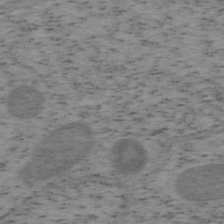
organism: Mouse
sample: OT-I killer T cells with ID8 ovarian cancer cells